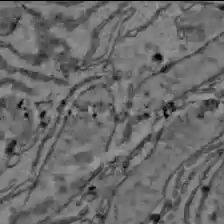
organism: C57BL Mouse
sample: Liver